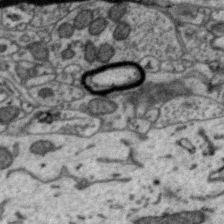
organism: Zebra finch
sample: Brain